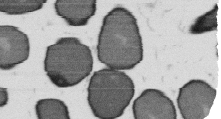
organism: B. subtilis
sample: Bacterial spore